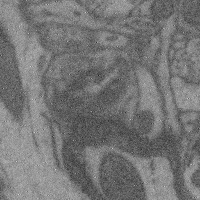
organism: Mouse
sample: Cerebral cortex